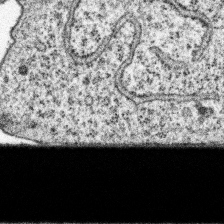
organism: Human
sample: HeLa cells